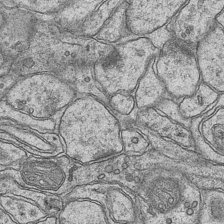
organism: Mouse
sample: CA1 Hippocampus